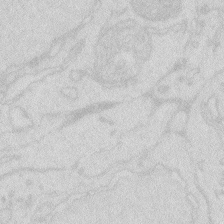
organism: Zebrafish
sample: Macrophage